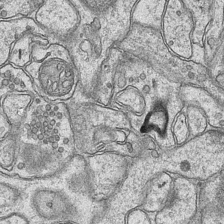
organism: Mouse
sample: CA1 Hippocampus